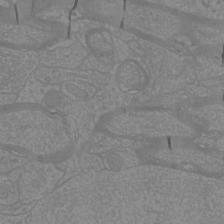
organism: Mouse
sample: Cortical neurons